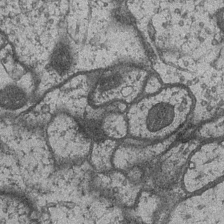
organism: Drosophila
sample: Optic medulla